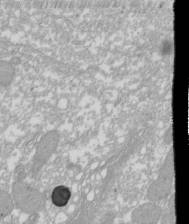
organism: Xenopus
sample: Cilia; centrioles in frog embryo cells